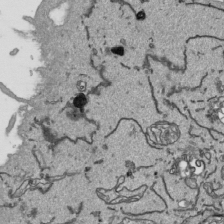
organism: Human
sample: Mitochondria in HCT116 cells